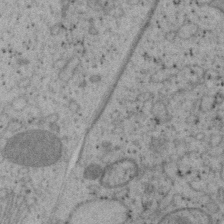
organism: Human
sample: HeLa cells